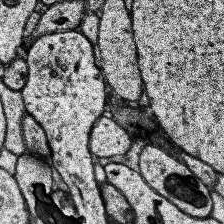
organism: Human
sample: Temporal Lobe